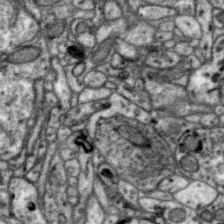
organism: Zebra finch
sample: Brain